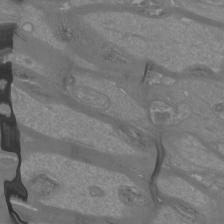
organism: Mouse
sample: Cortical neurons